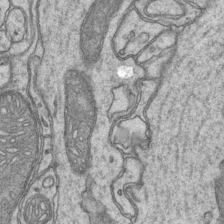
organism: Mouse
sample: CA1 Hippocampus